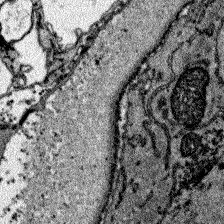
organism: Zebrafish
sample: Larval olfactory bulb